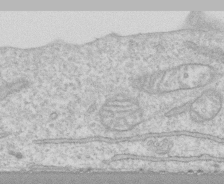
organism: Human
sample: CRL-1474